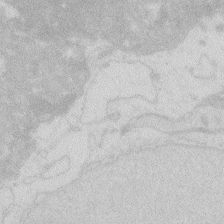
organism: Zebrafish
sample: Macrophage